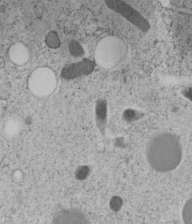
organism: C. elegans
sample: C. elegans embryo early stage